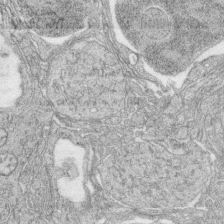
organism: Zebrafish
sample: synaptic ribbons in rod cells and cone cells